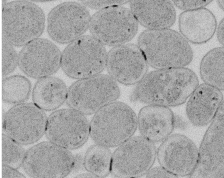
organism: E. coli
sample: Bacterial nucleoid